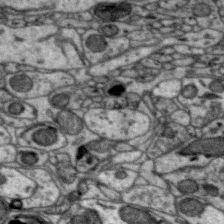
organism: Zebra finch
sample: Brain